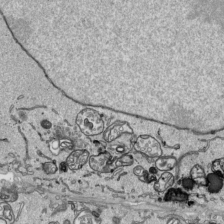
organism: Human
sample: Mitochondria in HCT116 cells